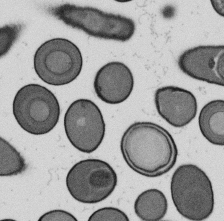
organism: B. subtilis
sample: Bacterial spore